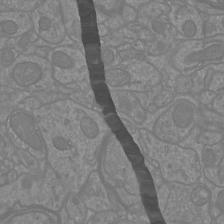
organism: Mouse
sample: Cortical neurons